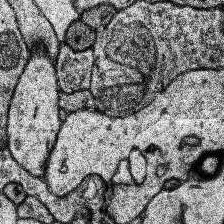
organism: Human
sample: Temporal Lobe